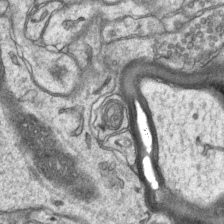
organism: Mouse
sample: CA1 Hippocampus